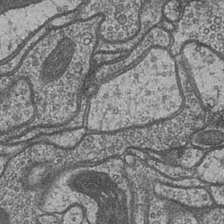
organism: Drosophila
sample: Optic medulla